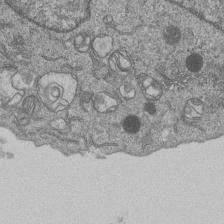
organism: Human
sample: MDA-MB-231 cells